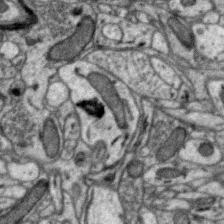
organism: Zebra finch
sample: Brain